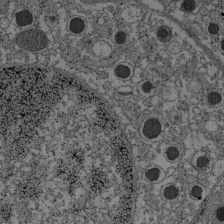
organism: C57BL Mouse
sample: Pancreatic islet